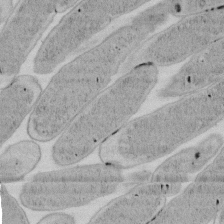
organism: E. coli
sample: Bacterial nucleoid